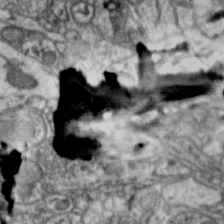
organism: Zebra finch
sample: Brain